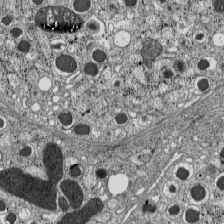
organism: C57BL Mouse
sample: Pancreatic islet